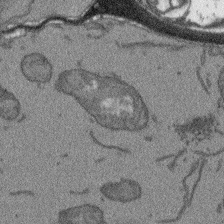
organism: Arabidopsis thaliana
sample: Root tip